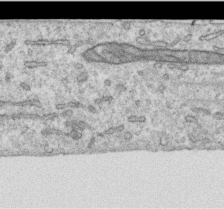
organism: Human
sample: Centriole in RPE cells